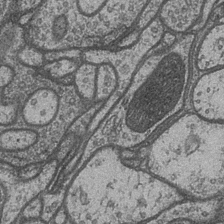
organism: Drosophila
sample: Optic medulla